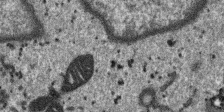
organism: Human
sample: Lung epithelial cells infected with SARS-CoV-2